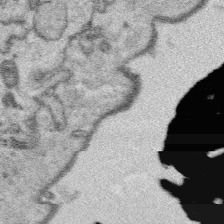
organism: Platynereis dumerilii